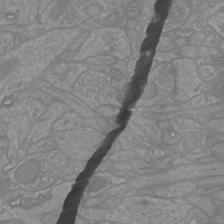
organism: Mouse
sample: Cortical neurons